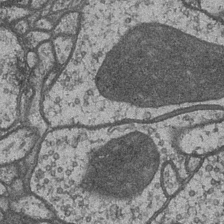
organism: Drosophila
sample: Optic medulla